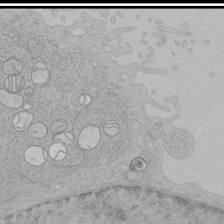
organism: Human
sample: Mitochondria in HCT116 cells